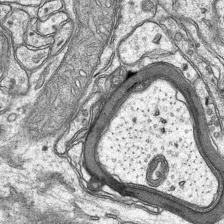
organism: Mouse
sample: CA1 Hippocampus